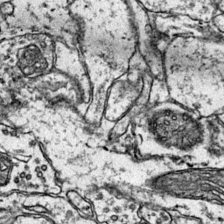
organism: Mouse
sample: Primary visual cortex